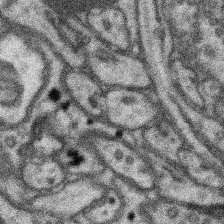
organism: Mouse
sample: Somatosensory cortex neuropil